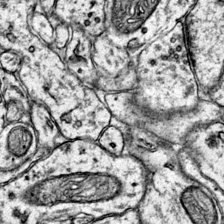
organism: Mouse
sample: Primary visual cortex